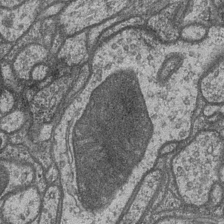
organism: Drosophila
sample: Optic medulla